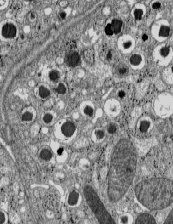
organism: C57BL Mouse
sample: Pancreatic islet